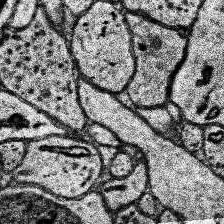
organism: Human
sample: Temporal Lobe